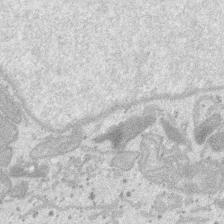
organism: Human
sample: Lung epithelial cells infected with SARS-CoV-2